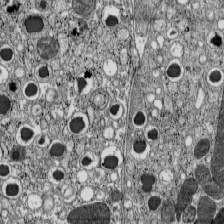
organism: C57BL Mouse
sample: Pancreatic islet